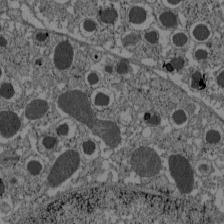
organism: C57BL Mouse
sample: Pancreatic islet